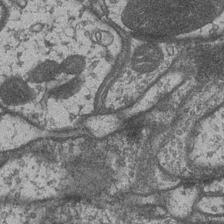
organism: Drosophila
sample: Optic medulla